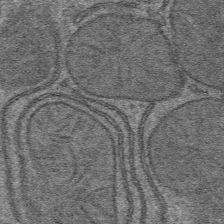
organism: Mouse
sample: Mouse hepatocytes